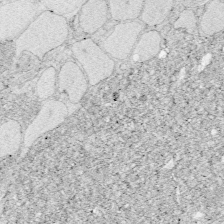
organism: Zebrafish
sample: Whole-Brain